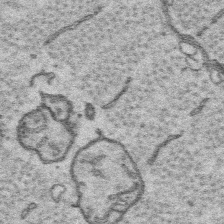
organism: Platynereis dumerilii